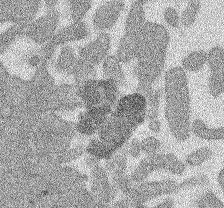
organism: Human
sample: HeLa cells